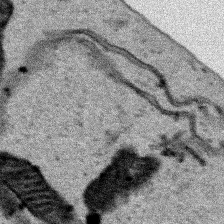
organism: Human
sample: Mitochondria in HCT116 cells